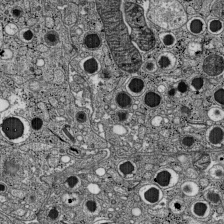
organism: C57BL Mouse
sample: Pancreatic islet